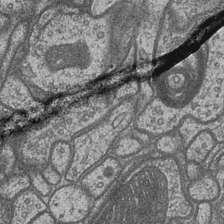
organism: Drosophila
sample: Optic medulla